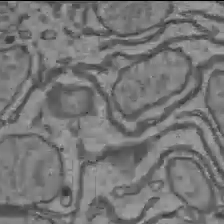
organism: C57BL Mouse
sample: Liver